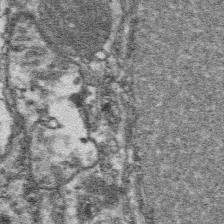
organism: Platynereis dumerilii